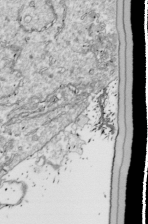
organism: Drosophila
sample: Cell division; meiosis; drosophila spermatocytes